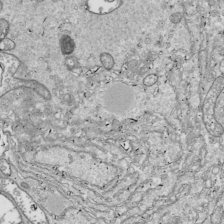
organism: Drosophila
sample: Cell division; meiosis; drosophila spermatocytes